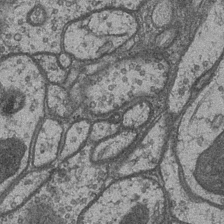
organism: Drosophila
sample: Optic medulla